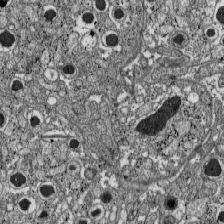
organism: C57BL Mouse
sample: Pancreatic islet